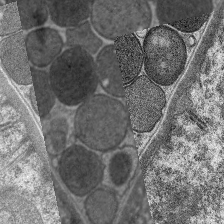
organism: C. elegans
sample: Pharynx